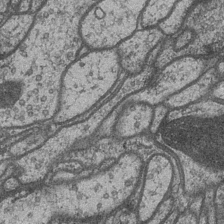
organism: Drosophila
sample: Optic medulla